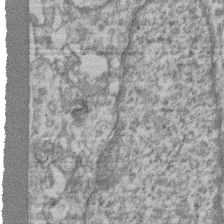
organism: Mouse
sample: T cell stromal cell synapse